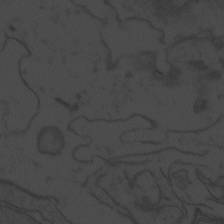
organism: Zebrafish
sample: Macrophage infected with Toxoplasma gondii